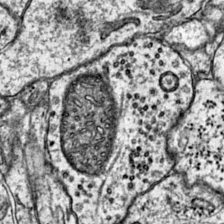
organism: Mouse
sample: Primary visual cortex